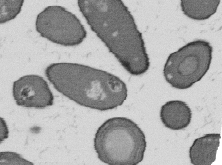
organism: B. subtilis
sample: Bacterial spore